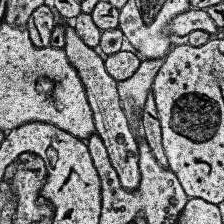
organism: Human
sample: Temporal Lobe